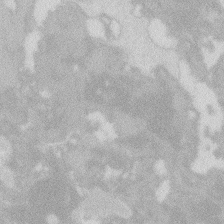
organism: Zebrafish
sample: Macrophage